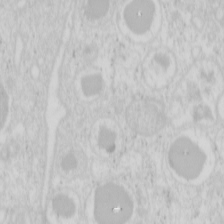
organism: Mouse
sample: Pancreas